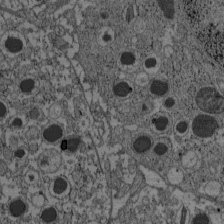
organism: C57BL Mouse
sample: Pancreatic islet